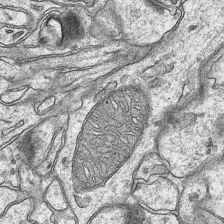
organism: Mouse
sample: CA1 Hippocampus